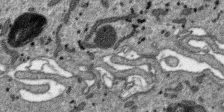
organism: Human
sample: Lung epithelial cells, uninfected (mock) control